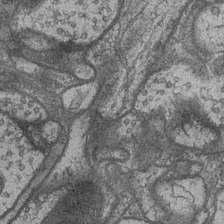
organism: Drosophila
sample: Optic medulla